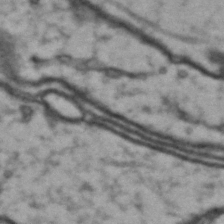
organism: Drosophila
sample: Brain